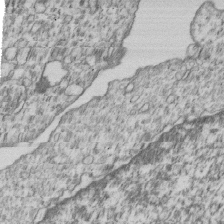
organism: Human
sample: MDA-MB-231 cells